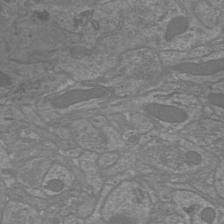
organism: Mouse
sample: Cortical neurons